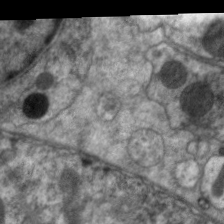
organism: C. elegans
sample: Pharynx